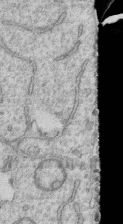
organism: Human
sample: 1205lu cells